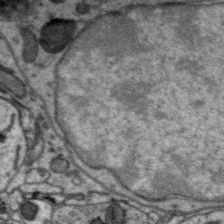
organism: Zebra finch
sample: Brain